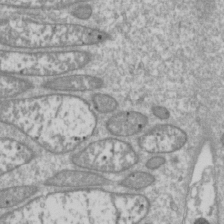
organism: Drosophila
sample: Cell division; meiosis; drosophila spermatocytes